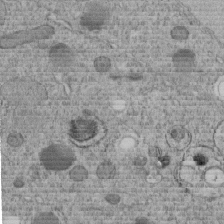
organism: C. elegans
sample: C. elegans embryo early stage